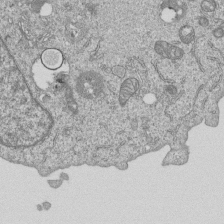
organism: Human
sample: MDA-MB-231 cells